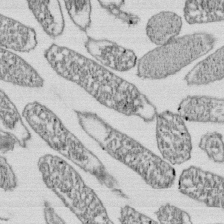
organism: E. coli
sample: Bacterial nucleoid